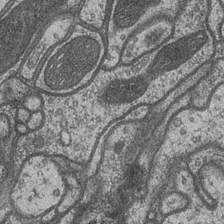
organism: Drosophila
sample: Optic medulla